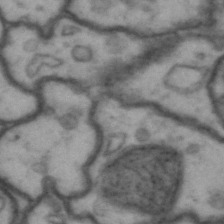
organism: Drosophila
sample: Brain